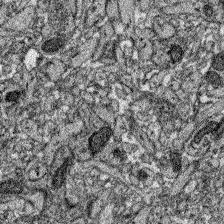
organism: Zebrafish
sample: Larval olfactory bulb